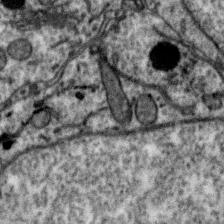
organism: Zebra finch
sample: Brain